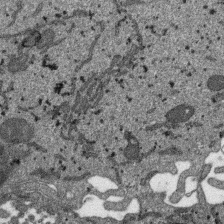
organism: Human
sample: Lung epithelial cells infected with SARS-CoV-2